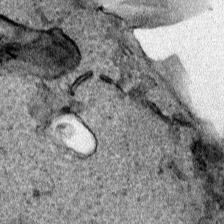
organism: Human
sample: Mitochondria in HCT116 cells